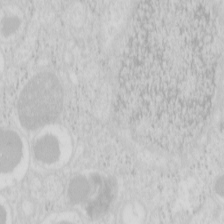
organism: Mouse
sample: Pancreas